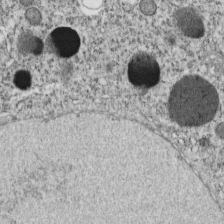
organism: C. elegans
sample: C. elegans embryo early stage